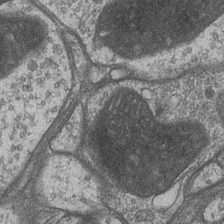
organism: Drosophila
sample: Optic medulla